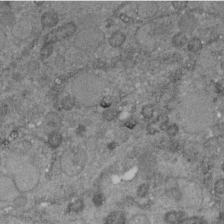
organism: C. elegans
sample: C. elegans embryo early stage